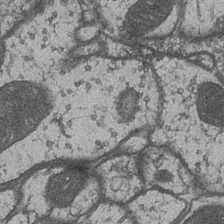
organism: Drosophila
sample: Optic medulla